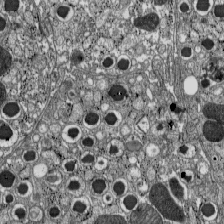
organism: C57BL Mouse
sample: Pancreatic islet